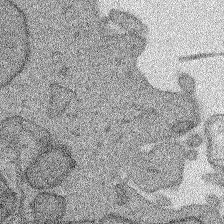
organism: Human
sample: HeLa cells